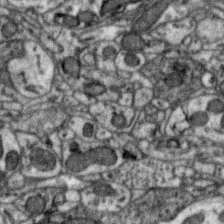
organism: Zebra finch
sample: Brain